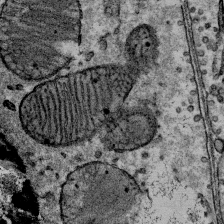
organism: Mouse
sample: Mouse Salivary gland